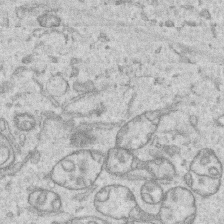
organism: Human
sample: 1205lu cells